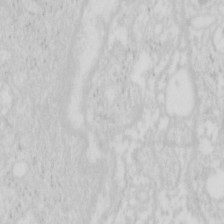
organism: Mouse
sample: Pancreas